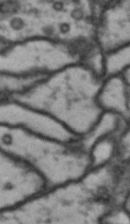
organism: Drosophila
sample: Brain